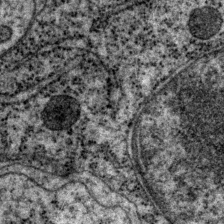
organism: P. pacificus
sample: Pharynx